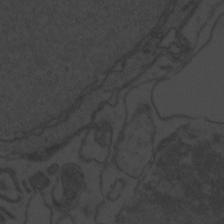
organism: Zebrafish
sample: Macrophage infected with Toxoplasma gondii